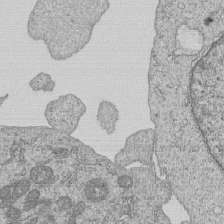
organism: Human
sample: MDA-MB-231 cells